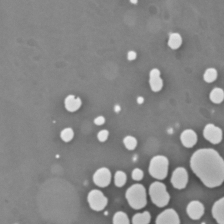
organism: C. elegans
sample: C. elegans embryo